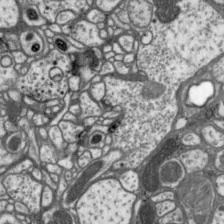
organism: Drosophila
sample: Protocerebral bridge